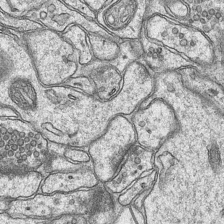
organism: Mouse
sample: CA1 Hippocampus